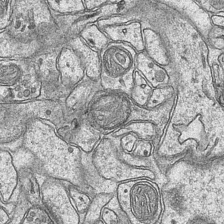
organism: Mouse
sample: CA1 Hippocampus